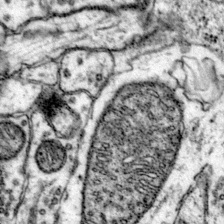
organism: Mouse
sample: Primary visual cortex